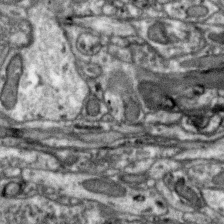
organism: Zebra finch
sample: Brain